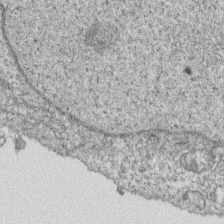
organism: Human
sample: HeLa cell HIV synapse